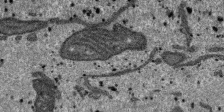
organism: Human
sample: Lung epithelial cells, uninfected (mock) control